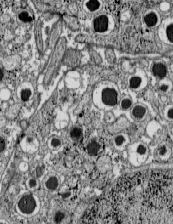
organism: C57BL Mouse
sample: Pancreatic islet